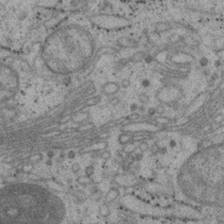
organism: Human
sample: HeLa cells